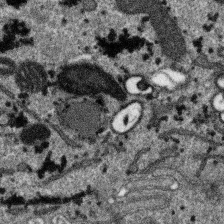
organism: Human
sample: Lung epithelial cells infected with SARS-CoV-2